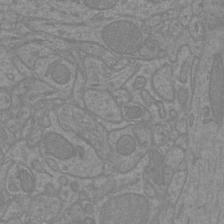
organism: Mouse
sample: Cortical neurons